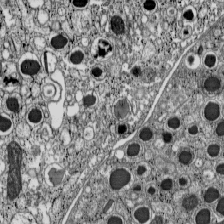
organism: C57BL Mouse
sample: Pancreatic islet